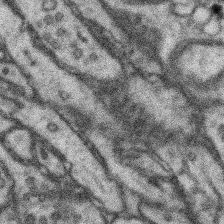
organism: Mouse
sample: Somatosensory cortex neuropil